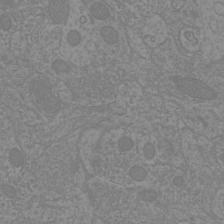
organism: Mouse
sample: Cortical neurons